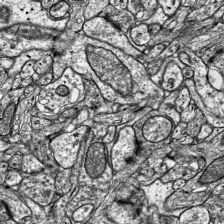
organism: Mouse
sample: Visual Cortex